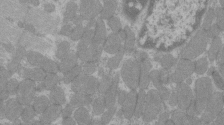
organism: C57BL Mouse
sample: Tibialis anterior muscle cell